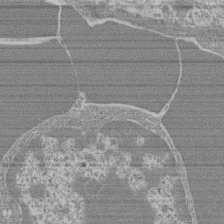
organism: Mouse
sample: Glomerulus